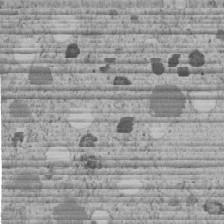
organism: C. elegans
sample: C. elegans embryo early stage